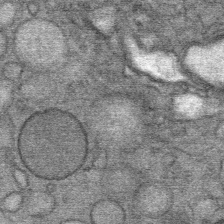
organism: Mouse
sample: Mouse Salivary gland